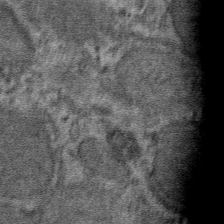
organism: Mouse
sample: Mouse hepatocytes